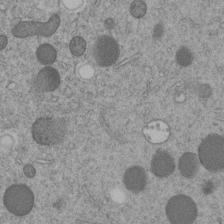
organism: C. elegans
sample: C. elegans embryo early stage